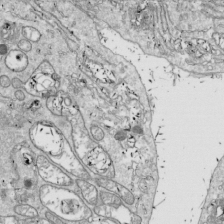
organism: Drosophila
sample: Cell division; meiosis; drosophila spermatocytes